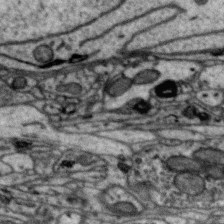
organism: Zebra finch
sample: Brain